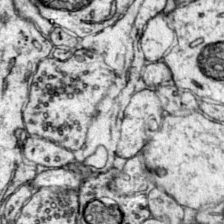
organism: Mouse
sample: Primary visual cortex